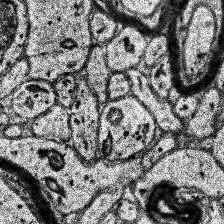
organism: Human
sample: Temporal Lobe